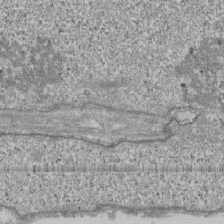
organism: Human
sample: Fibroblast cells